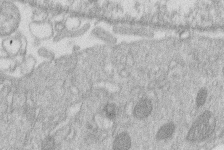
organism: Human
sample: Macrophage cells